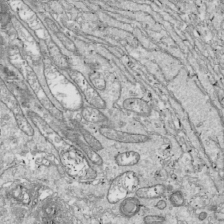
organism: Drosophila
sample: Cell division; meiosis; drosophila spermatocytes